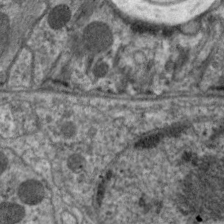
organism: C. elegans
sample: Pharynx